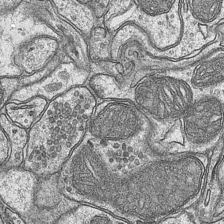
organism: Mouse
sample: CA1 Hippocampus